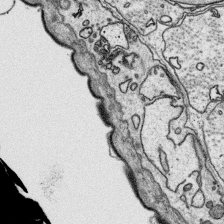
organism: Platynereis dumerilii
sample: Parapodia